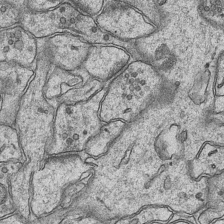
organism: Mouse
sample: CA1 Hippocampus